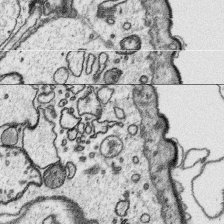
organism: Platynereis dumerilii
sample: Parapodia